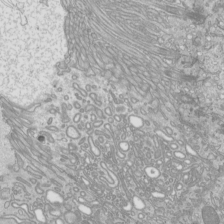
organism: Mouse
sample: Cilia; mouse epididymis